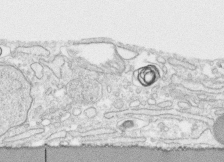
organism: Human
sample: CRL-1474